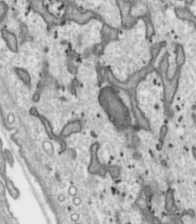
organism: Toxoplasma gondii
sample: Parasites in a vacuole inside a host cell